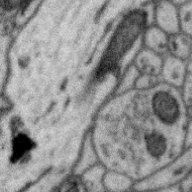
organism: Zebra finch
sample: Brain